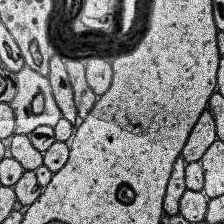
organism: Human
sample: Temporal Lobe